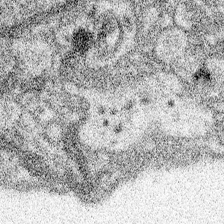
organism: Spongilla lacustris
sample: Neuroid cell